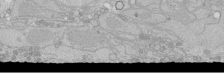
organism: Human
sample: Caco-2 cells